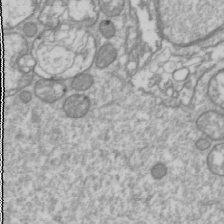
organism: Drosophila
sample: Cell division; meiosis; drosophila spermatocytes